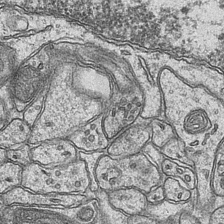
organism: Mouse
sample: CA1 Hippocampus